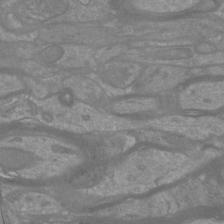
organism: Mouse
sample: Cortical neurons